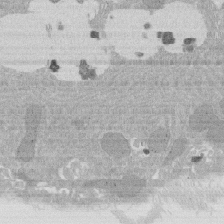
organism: Rat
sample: Salivary granule